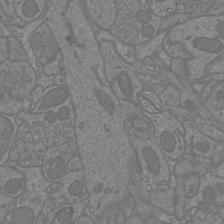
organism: Mouse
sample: Cortical neurons